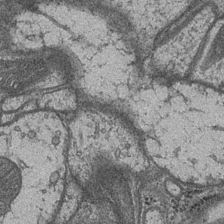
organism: Drosophila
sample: Optic medulla